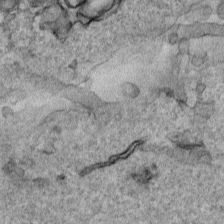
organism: Human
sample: Mitochondria in HCT116 cells